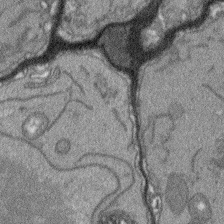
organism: Arabidopsis thaliana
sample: Root tip